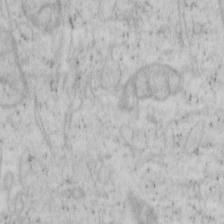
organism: Human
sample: HeLa cells